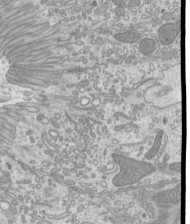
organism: Mouse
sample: Cilia; mouse epididymis